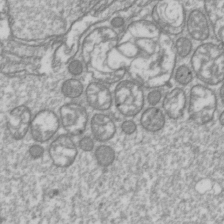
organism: Drosophila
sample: Cell division; meiosis; drosophila spermatocytes